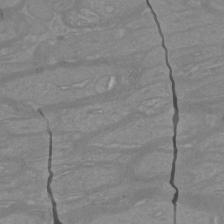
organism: Mouse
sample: Cortical neurons